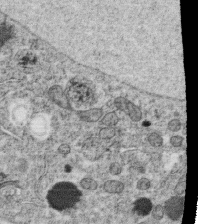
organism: C. elegans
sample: C. elegans oocyte; sperm cells